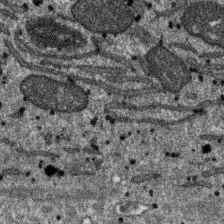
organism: Human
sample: Lung epithelial cells infected with SARS-CoV-2